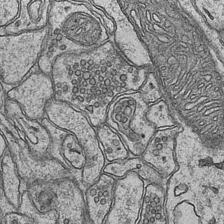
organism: Mouse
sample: CA1 Hippocampus